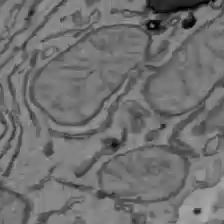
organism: C57BL Mouse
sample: Liver